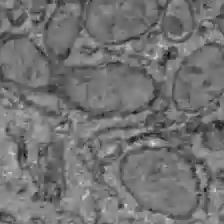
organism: C57BL Mouse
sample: Liver